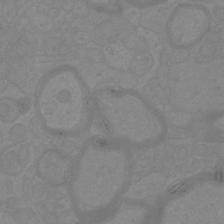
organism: Mouse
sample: Cortical neurons